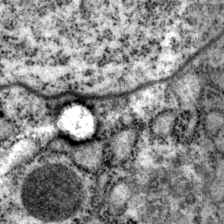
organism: P. pacificus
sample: Pharynx